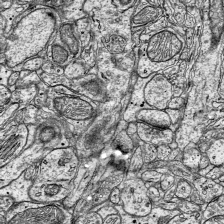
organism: Mouse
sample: Visual Cortex